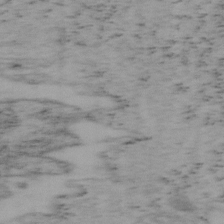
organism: Mouse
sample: OT-I killer T cells with ID8 ovarian cancer cells